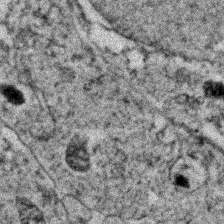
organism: Zebrafish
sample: Zebrafish embryo